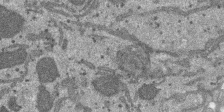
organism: Human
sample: Lung epithelial cells infected with SARS-CoV-2